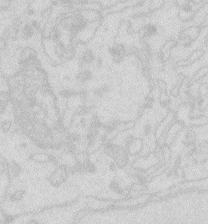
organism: Zebrafish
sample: Macrophage